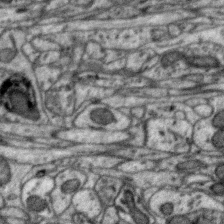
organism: Zebra finch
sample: Brain